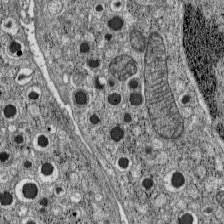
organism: C57BL Mouse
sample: Pancreatic islet